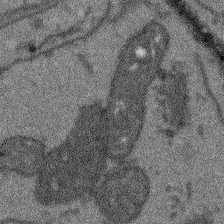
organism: Arabidopsis thaliana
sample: Root tip